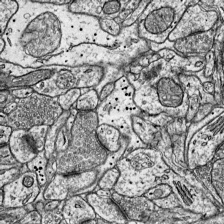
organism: Mouse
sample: Visual Cortex